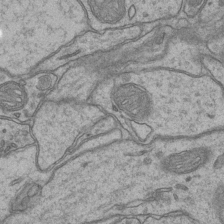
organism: Mouse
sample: CA1 Hippocampus